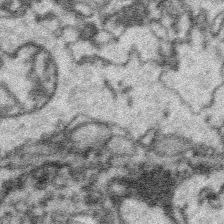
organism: Platynereis dumerilii